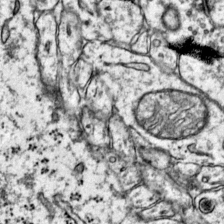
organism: Mouse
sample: Primary visual cortex